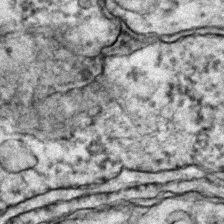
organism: Zebrafish